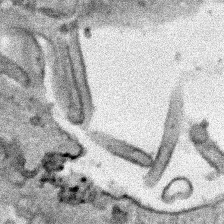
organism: Human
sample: Mitochondria in HCT116 cells